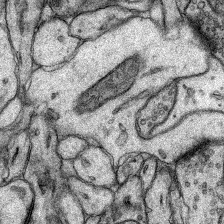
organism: Rat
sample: Hippocampus